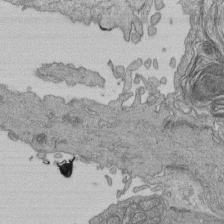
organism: Human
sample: Retinal organoid Rod and Cone cells